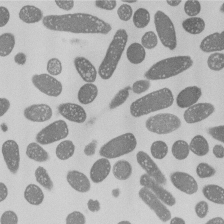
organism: E. coli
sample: Bacterial nucleoid